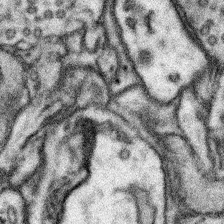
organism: Mouse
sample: Somatosensory cortex neuropil